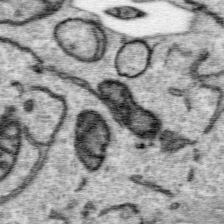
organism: Human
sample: HeLa cells